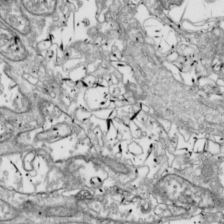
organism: Drosophila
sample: Cell division; meiosis; drosophila spermatocytes